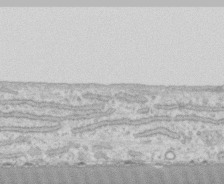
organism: Human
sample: CRL-1474